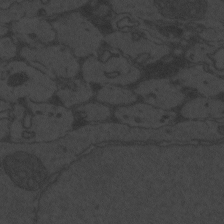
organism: Zebrafish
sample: Macrophage infected with Toxoplasma gondii